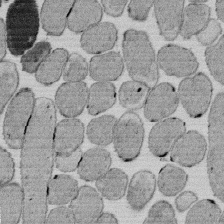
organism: E. coli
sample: Bacterial nucleoid